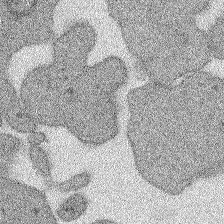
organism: Human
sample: HeLa cells